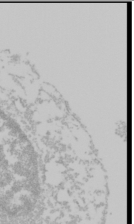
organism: Mouse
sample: Cancer cell death in ED-1 cells